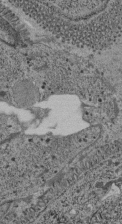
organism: C. elegans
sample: C. elegans pharynx